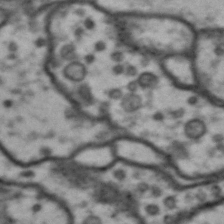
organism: Drosophila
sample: Brain